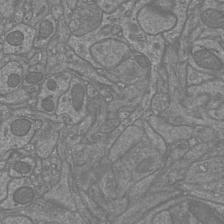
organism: Mouse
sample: Cortical neurons